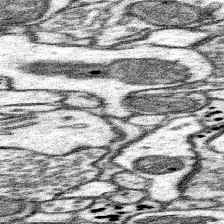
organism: Mouse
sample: Somatosensory cortex neuropil